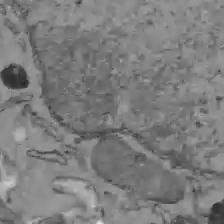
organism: C57BL Mouse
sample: Liver